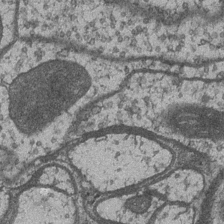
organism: Drosophila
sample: Optic medulla